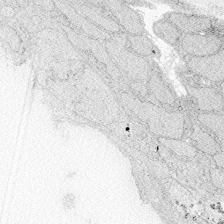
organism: Zebrafish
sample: Whole-Brain